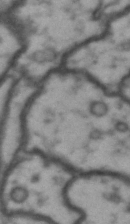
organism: Drosophila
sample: Brain